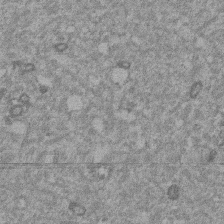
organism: Mouse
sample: Dividing mouse embryo 1 cell stage